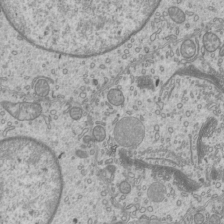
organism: Mouse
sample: Cilia; mouse epididymis